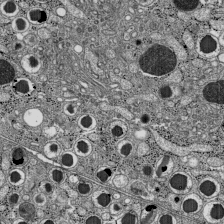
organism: C57BL Mouse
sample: Pancreatic islet